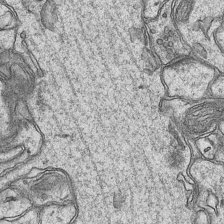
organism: Mouse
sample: CA1 Hippocampus